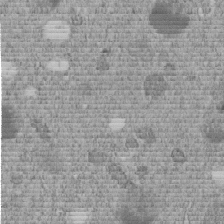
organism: C. elegans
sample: C. elegans embryo early stage